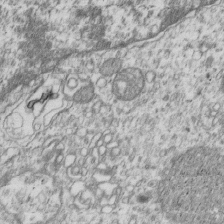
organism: Human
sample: MDA-MB-231 cells